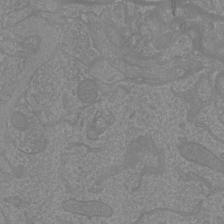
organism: Mouse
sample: Cortical neurons